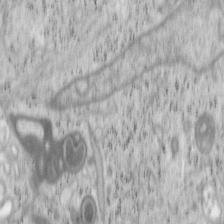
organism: Human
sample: HeLa cells